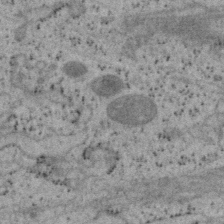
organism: Human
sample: HeLa cells